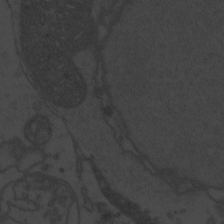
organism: Zebrafish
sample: Macrophage infected with Toxoplasma gondii